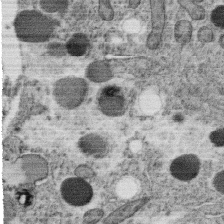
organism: C. elegans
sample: C. elegans oocyte; sperm cells